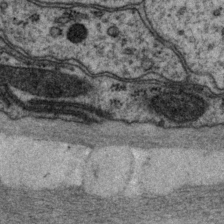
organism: P. pacificus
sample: Pharynx